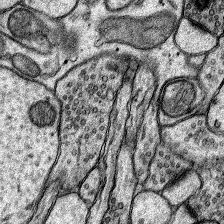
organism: Rat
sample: Hippocampus